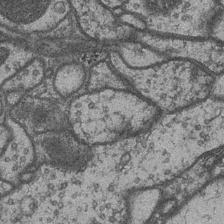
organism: Drosophila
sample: Optic medulla